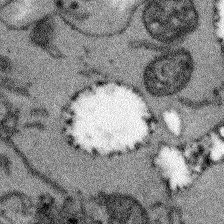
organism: Arabidopsis thaliana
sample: Root tip